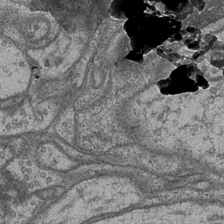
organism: Drosophila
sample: Optic medulla